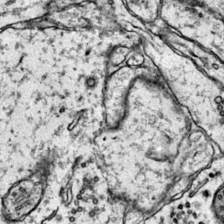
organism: Mouse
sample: Primary visual cortex